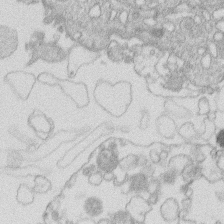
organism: Human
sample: Macrophage cells